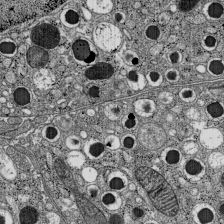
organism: C57BL Mouse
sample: Pancreatic islet